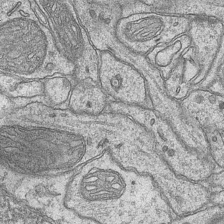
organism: Mouse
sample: CA1 Hippocampus